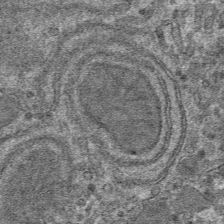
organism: Mouse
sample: Mouse hepatocytes